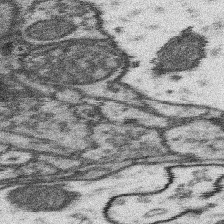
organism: Mouse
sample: Somatosensory cortex neuropil